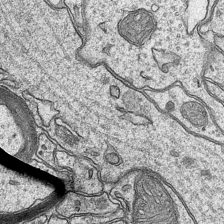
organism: Mouse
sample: CA1 Hippocampus